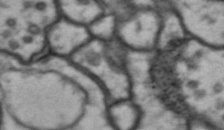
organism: Drosophila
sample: Brain